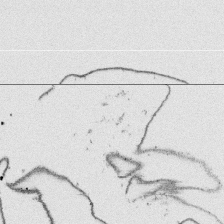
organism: Platynereis dumerilii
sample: Parapodia